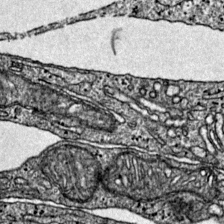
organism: Mouse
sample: Primary visual cortex